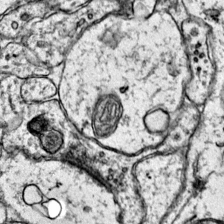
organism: Mouse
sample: Primary visual cortex